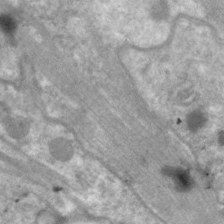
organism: C. elegans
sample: Pharynx